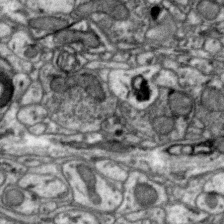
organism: Zebra finch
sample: Brain